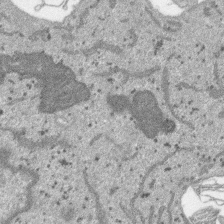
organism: Human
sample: Lung epithelial cells infected with SARS-CoV-2